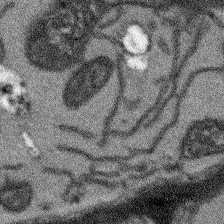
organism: Arabidopsis thaliana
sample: Root tip